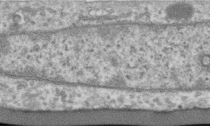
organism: Human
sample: Centriole in RPE cells